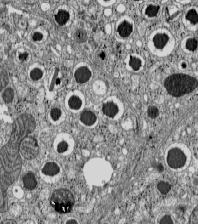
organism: C57BL Mouse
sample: Pancreatic islet